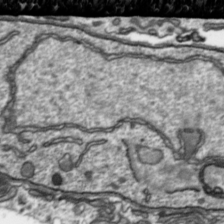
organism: Toxoplasma gondii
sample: Parasites in a vacuole inside a host cell